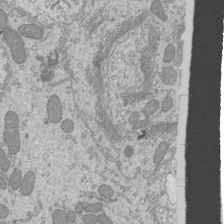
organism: Mouse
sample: Cilia; mouse epididymis